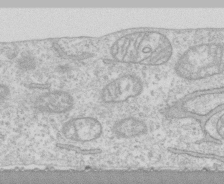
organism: Human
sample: CRL-1474